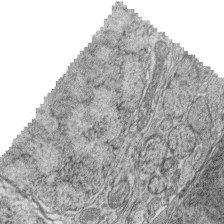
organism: Zebrafish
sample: synaptic ribbons in rod cells and cone cells